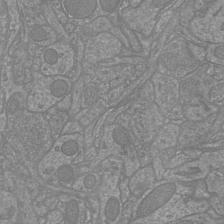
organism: Mouse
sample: Cortical neurons